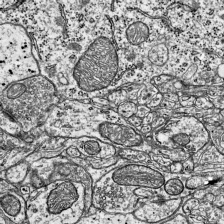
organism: Mouse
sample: Visual Cortex